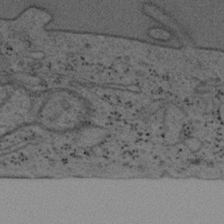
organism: Human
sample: HeLa cells